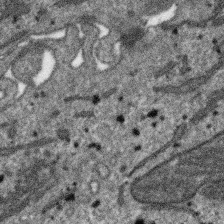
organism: Human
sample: Lung epithelial cells infected with SARS-CoV-2